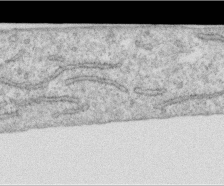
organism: Human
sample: Centriole in RPE cells